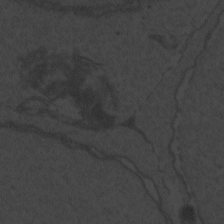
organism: Zebrafish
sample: Macrophage infected with Toxoplasma gondii